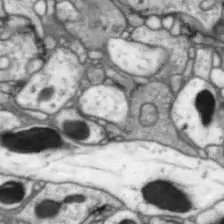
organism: Drosophila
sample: Optic lobe